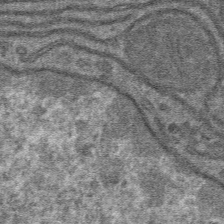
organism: Mouse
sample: Mouse hepatocytes